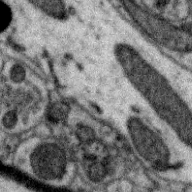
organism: Zebra finch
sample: Brain